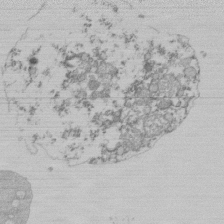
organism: Mouse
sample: Activated Pmel transgenic CD8+ T Cells